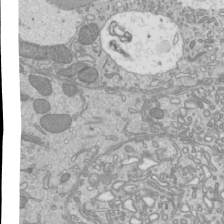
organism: Mouse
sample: Cilia; mouse epididymis